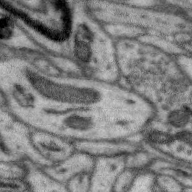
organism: Zebra finch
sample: Brain